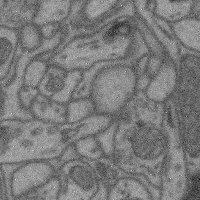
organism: Mouse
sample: Cerebral cortex